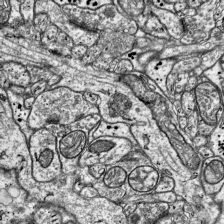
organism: Mouse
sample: Visual Cortex